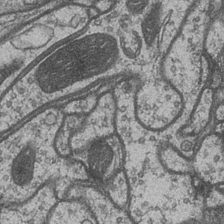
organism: Drosophila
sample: Optic medulla